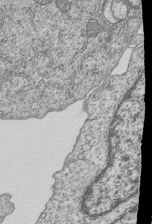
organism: Human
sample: MDA-MB-231 cells